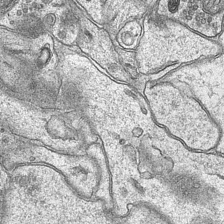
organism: Mouse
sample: CA1 Hippocampus